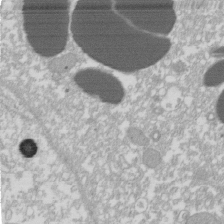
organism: Xenopus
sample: Cilia; centrioles in frog embryo cells